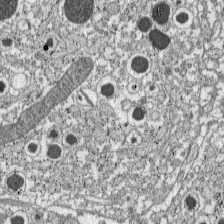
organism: C57BL Mouse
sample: Pancreatic islet